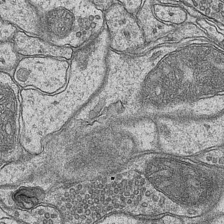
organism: Mouse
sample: CA1 Hippocampus